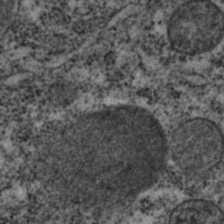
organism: C. elegans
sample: C. elegans embryo